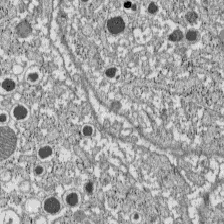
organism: C57BL Mouse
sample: Pancreatic islet